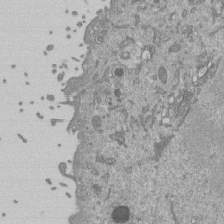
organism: Mouse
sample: ED-1 cell nuclei; centrioles